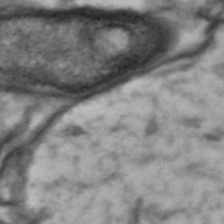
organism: Drosophila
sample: Brain